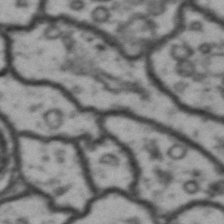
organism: Drosophila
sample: Brain